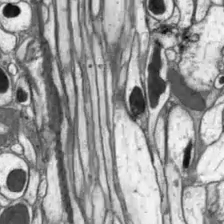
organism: Drosophila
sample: Optic lobe